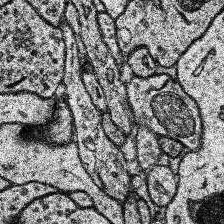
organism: Human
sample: Temporal Lobe